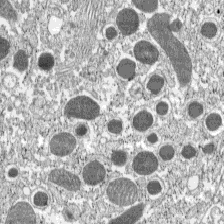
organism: C57BL Mouse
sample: Pancreatic islet